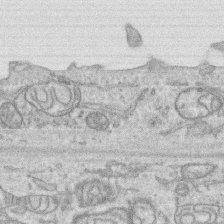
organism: Human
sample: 1205lu cells